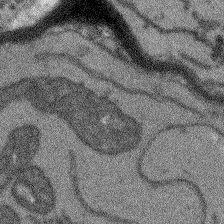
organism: Arabidopsis thaliana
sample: Root tip